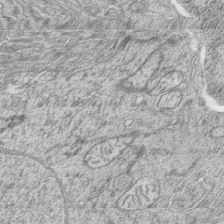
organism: Zebrafish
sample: synaptic ribbons in rod cells and cone cells